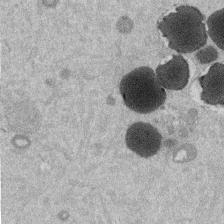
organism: Mouse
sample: Dividing mouse embryo 1 cell stage